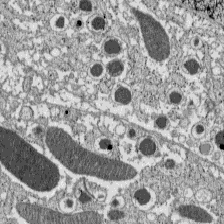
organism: C57BL Mouse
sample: Pancreatic islet